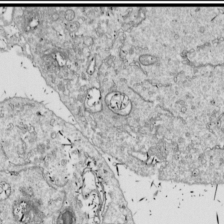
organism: Drosophila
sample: Cell division; meiosis; drosophila spermatocytes